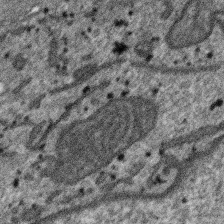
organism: Human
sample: Lung epithelial cells infected with SARS-CoV-2